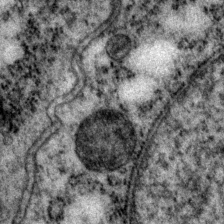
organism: P. pacificus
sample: Pharynx